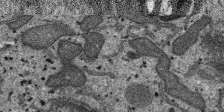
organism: Human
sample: Lung epithelial cells infected with SARS-CoV-2